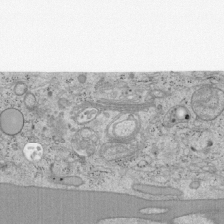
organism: Human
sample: HeLa cells